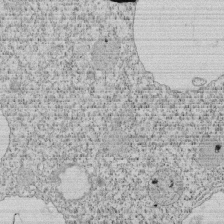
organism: Tetrahymena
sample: Cilia in tetrahymena